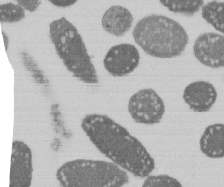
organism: E. coli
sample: Bacterial nucleoid